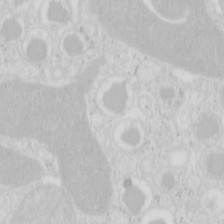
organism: Mouse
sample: Pancreas